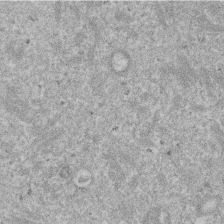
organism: Mouse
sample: Dividing mouse embryo 1 cell stage